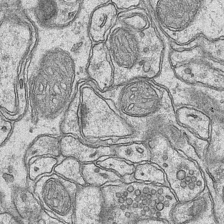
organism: Mouse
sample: CA1 Hippocampus